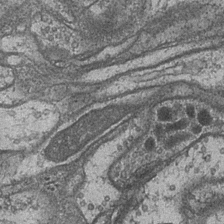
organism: Drosophila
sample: Optic medulla